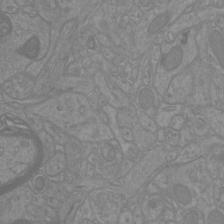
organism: Mouse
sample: Cortical neurons